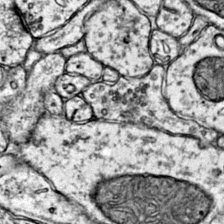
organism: Mouse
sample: Primary visual cortex